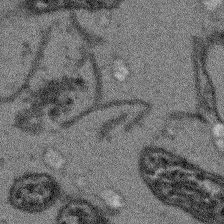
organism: Arabidopsis thaliana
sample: Root tip